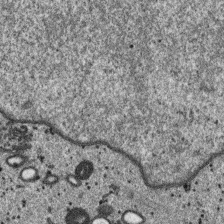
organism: Human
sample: Lung epithelial cells infected with SARS-CoV-2